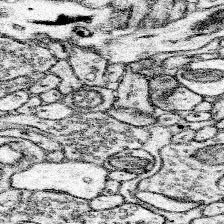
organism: Mouse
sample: Somatosensory cortex neuropil